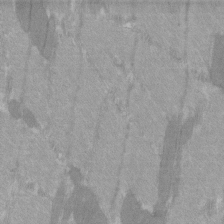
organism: C57BL Mouse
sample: Tibialis anterior muscle cell